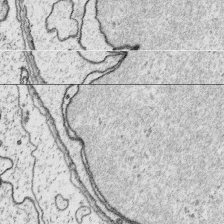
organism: Platynereis dumerilii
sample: Parapodia